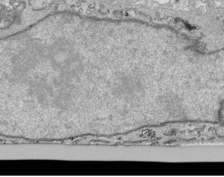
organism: Human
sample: Mitochondria in HCT116 cells